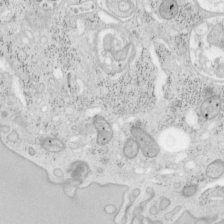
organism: Mouse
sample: OT-I killer T cells with ID8 ovarian cancer cells